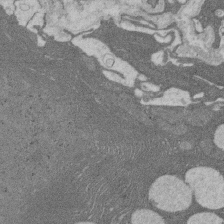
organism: Rat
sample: Salivary granule